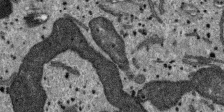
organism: Human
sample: Lung epithelial cells, uninfected (mock) control